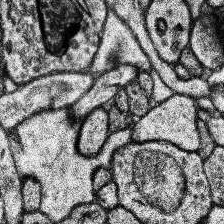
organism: Human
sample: Temporal Lobe